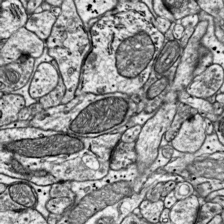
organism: Mouse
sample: Visual Cortex